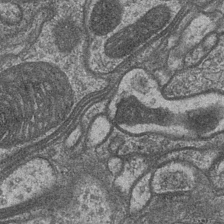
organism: Drosophila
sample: Optic medulla